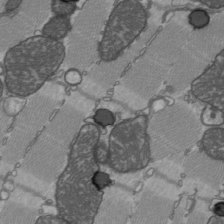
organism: C57BL Mouse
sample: Heart